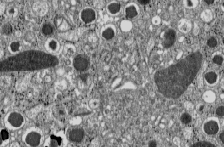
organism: C57BL Mouse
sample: Pancreatic islet